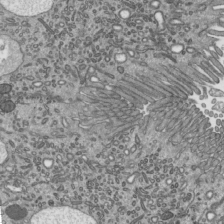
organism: Mouse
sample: Mouse epididymis efferent ductule cilia